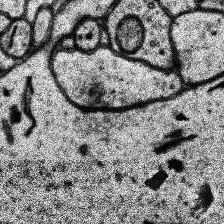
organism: Human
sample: Temporal Lobe